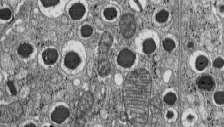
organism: C57BL Mouse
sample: Pancreatic islet